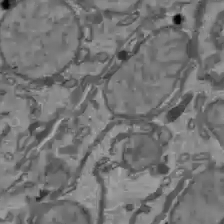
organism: C57BL Mouse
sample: Liver